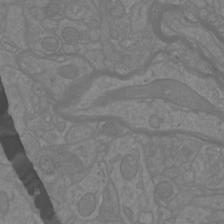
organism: Mouse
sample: Cortical neurons